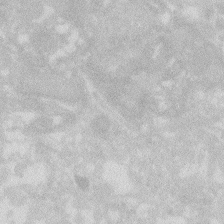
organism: Zebrafish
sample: Macrophage